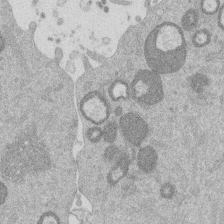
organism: Mouse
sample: Dividing mouse embryo 1 cell stage